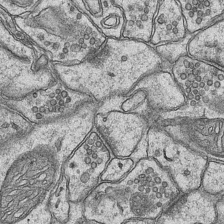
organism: Mouse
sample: CA1 Hippocampus